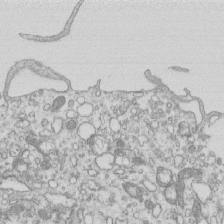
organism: Mouse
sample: Macrophages